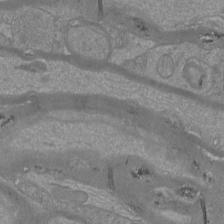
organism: Mouse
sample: Cortical neurons